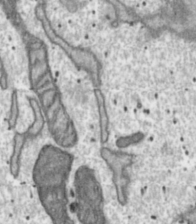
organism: Toxoplasma gondii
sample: Parasites in a vacuole inside a host cell